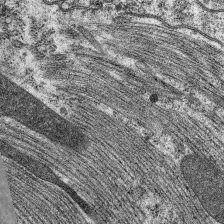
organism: C. elegans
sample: Pharynx